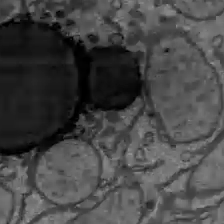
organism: C57BL Mouse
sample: Liver